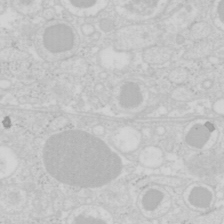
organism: Mouse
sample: Pancreas